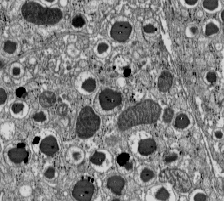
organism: C57BL Mouse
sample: Pancreatic islet